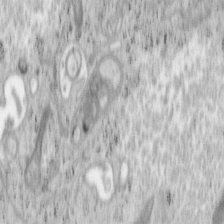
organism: Human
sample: HeLa cells